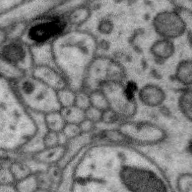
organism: Zebra finch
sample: Brain